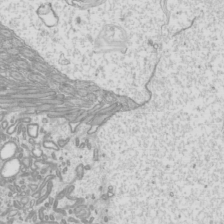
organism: Mouse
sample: Cilia; mouse epididymis